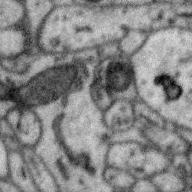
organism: Zebra finch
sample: Brain